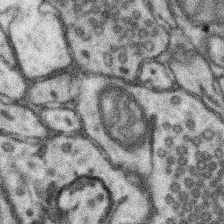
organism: Mouse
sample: Somatosensory cortex neuropil